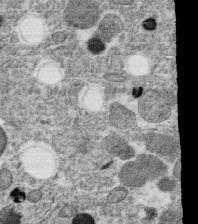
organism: C. elegans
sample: C. elegans oocyte; sperm cells